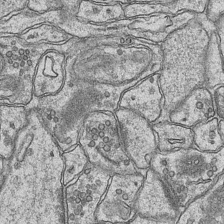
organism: Mouse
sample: CA1 Hippocampus